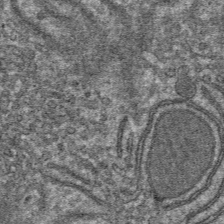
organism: Mouse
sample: Mouse hepatocytes